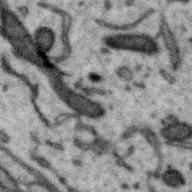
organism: Zebra finch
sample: Brain